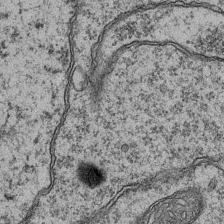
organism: Mouse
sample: CA1 Hippocampus